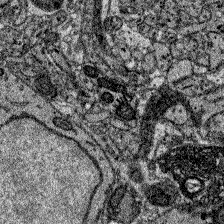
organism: Zebrafish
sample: Larval olfactory bulb